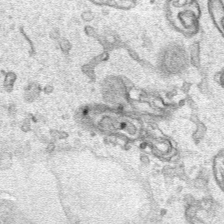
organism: Human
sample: Mitochondria in HCT116 cells